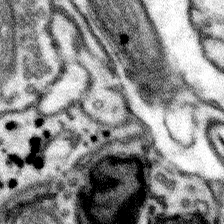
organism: Mouse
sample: Somatosensory cortex neuropil